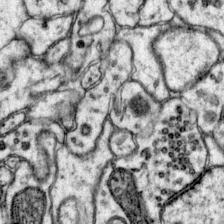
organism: Mouse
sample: Primary visual cortex